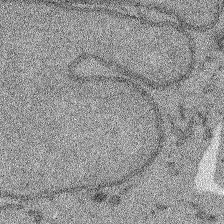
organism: Human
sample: HeLa cells